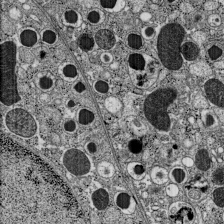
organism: C57BL Mouse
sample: Pancreatic islet